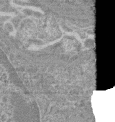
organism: Mouse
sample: Glomerulus